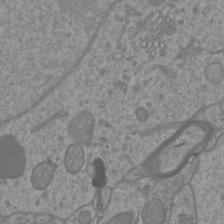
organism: Mouse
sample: Cortical neurons